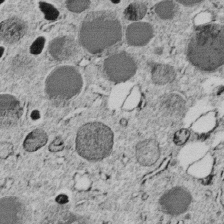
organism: C. elegans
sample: C. elegans embryo early stage